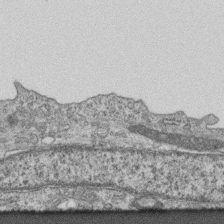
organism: Mouse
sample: Centriole in ependymal cells